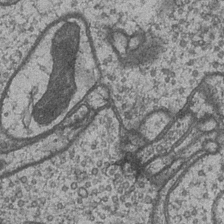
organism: Drosophila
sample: Optic medulla